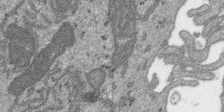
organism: Human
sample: Lung epithelial cells infected with SARS-CoV-2